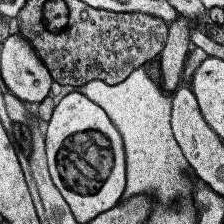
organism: Human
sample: Temporal Lobe